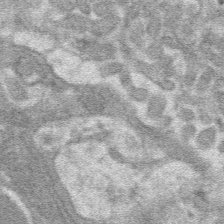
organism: Mouse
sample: Mouse hepatocytes